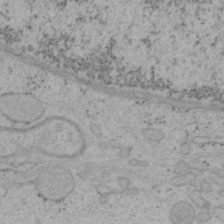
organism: Human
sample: HeLa cells